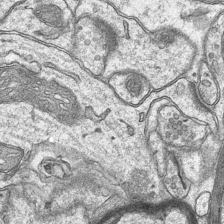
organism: Mouse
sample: CA1 Hippocampus